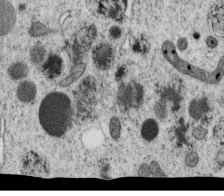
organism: C. elegans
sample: C. elegans oocyte; sperm cells